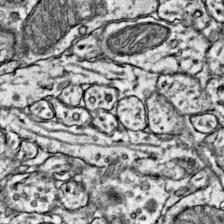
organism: Mouse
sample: Primary visual cortex